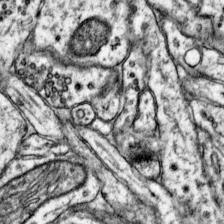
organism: Mouse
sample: Primary visual cortex